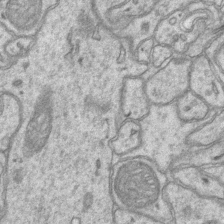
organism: Mouse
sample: CA1 Hippocampus